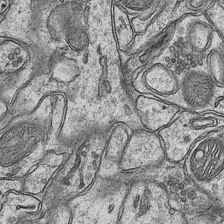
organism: Mouse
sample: CA1 Hippocampus